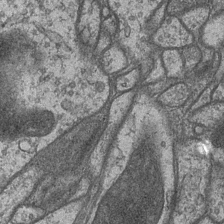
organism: Drosophila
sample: Optic medulla